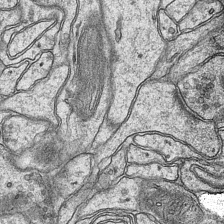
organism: Mouse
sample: CA1 Hippocampus